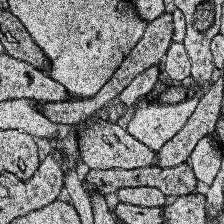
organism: Human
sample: Temporal Lobe